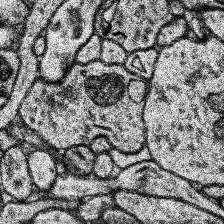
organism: Human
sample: Temporal Lobe